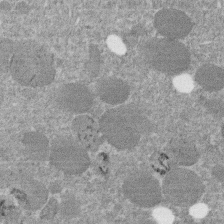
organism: C. elegans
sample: C. elegans embryo early stage